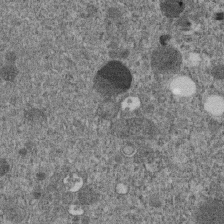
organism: C. elegans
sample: C. elegans embryo early stage